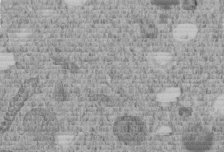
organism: C. elegans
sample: C. elegans embryo early stage